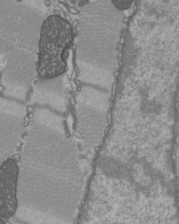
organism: C57BL Mouse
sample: Heart